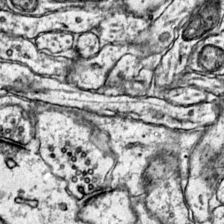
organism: Mouse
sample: Primary visual cortex